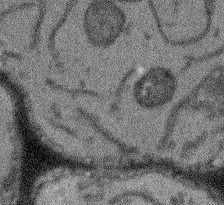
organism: Arabidopsis thaliana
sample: Root tip